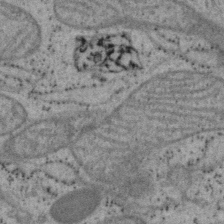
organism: Human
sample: HeLa cells